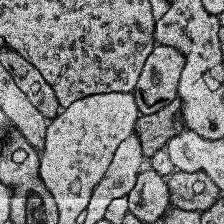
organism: Human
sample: Temporal Lobe